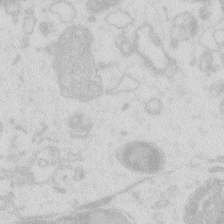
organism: Zebrafish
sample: Macrophage